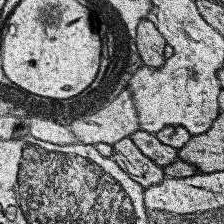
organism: Human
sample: Temporal Lobe